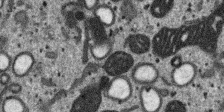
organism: Human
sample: Lung epithelial cells infected with SARS-CoV-2